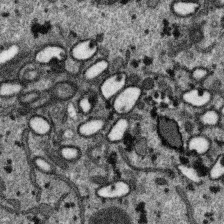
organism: Human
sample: Lung epithelial cells infected with SARS-CoV-2